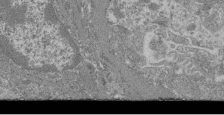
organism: Mouse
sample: Glomerulus